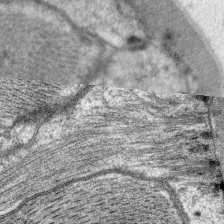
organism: C. elegans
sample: Pharynx